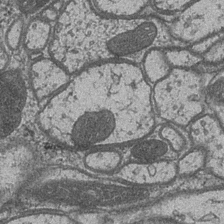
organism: Drosophila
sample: Optic medulla